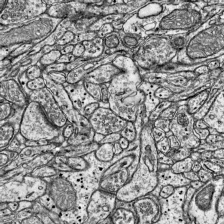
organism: Mouse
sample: Visual Cortex